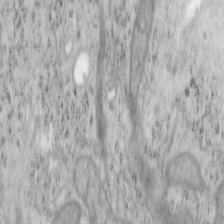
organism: Human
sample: HeLa cells